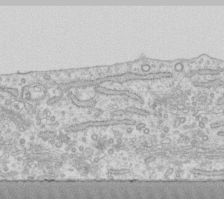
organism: Human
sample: Fibroblast cells